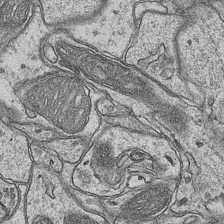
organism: Mouse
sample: CA1 Hippocampus